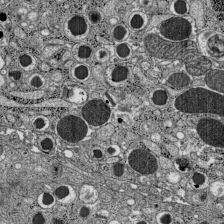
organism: C57BL Mouse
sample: Pancreatic islet